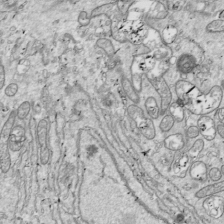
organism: Drosophila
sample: Cell division; meiosis; drosophila spermatocytes